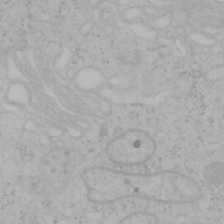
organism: Mouse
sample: OT-I killer T cells with ID8 ovarian cancer cells